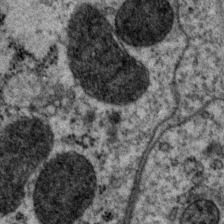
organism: P. pacificus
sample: Pharynx